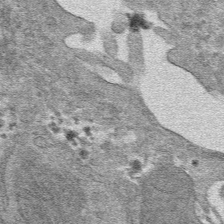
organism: Mouse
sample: Mouse hepatocytes